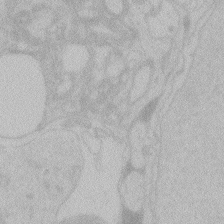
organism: Zebrafish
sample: Macrophage infected with Toxoplasma gondii